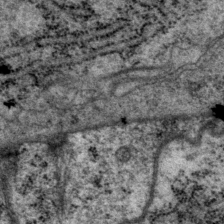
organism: P. pacificus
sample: Pharynx